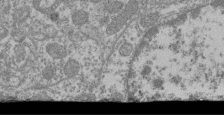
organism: Mouse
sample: Glomerulus